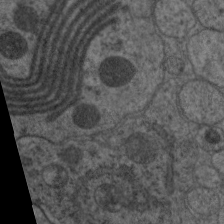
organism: C. elegans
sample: Pharynx